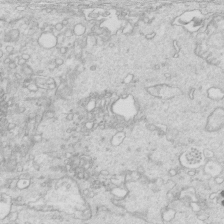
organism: Mouse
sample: Multiciliated cells